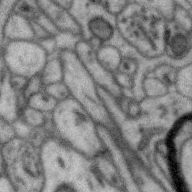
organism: Zebra finch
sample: Brain